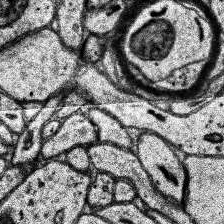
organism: Human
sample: Temporal Lobe